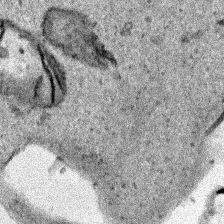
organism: Human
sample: Mitochondria in HCT116 cells